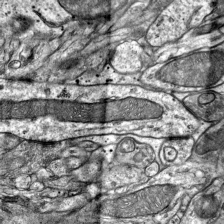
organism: Mouse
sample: Visual Cortex